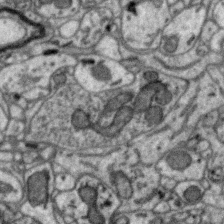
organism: Zebra finch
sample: Brain